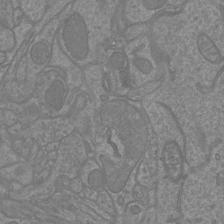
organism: Mouse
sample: Cortical neurons